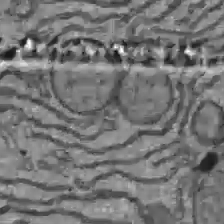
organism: C57BL Mouse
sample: Liver